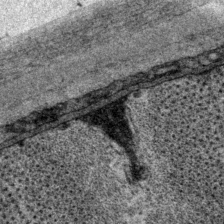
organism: P. pacificus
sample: Pharynx